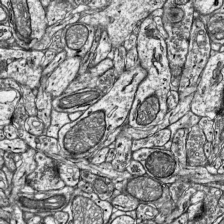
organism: Mouse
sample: Visual Cortex